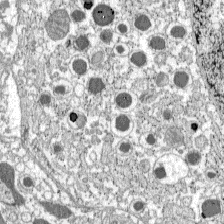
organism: C57BL Mouse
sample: Pancreatic islet